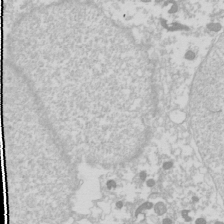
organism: Drosophila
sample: Cell division; meiosis; drosophila spermatocytes